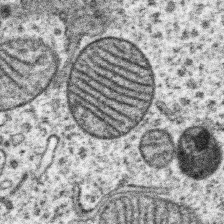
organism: Human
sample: HeLa cells